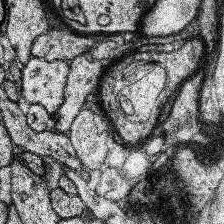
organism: Human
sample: Temporal Lobe